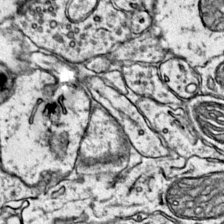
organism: Mouse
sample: Primary visual cortex